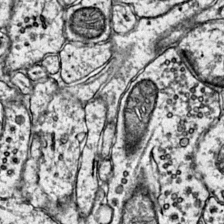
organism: Mouse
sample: Primary visual cortex